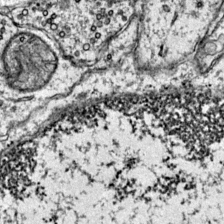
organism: Mouse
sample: Primary visual cortex